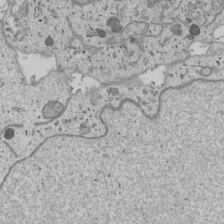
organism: Human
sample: Mitochondria in U2OS cells